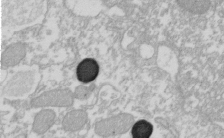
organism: Xenopus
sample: Cilia; centrioles in frog embryo cells